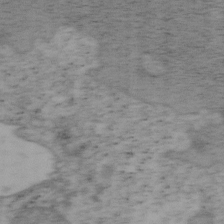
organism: Mouse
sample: OT-I killer T cells with ID8 ovarian cancer cells